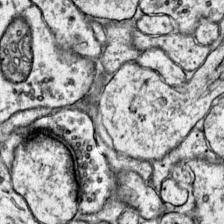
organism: Mouse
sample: Primary visual cortex